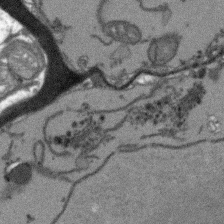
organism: Arabidopsis thaliana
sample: Root tip